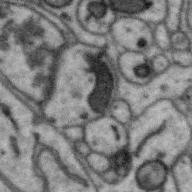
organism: Zebra finch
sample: Brain